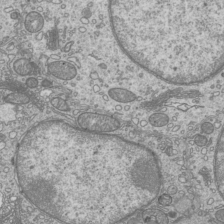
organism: Mouse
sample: Cilia; mouse epididymis